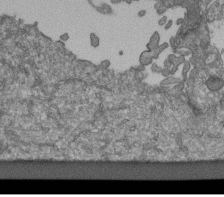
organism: Human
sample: Retinal organoid Rod and Cone cells